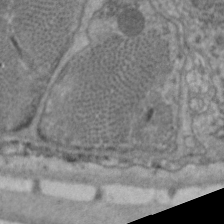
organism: C. elegans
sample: Pharynx